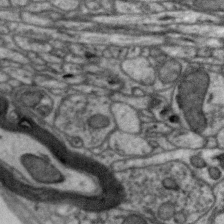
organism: Zebra finch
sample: Brain